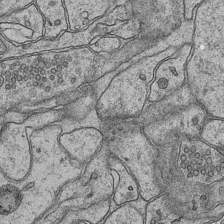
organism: Mouse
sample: CA1 Hippocampus